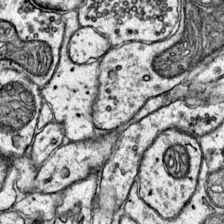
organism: Mouse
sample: Primary visual cortex